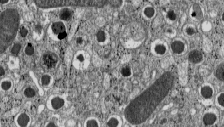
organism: C57BL Mouse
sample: Pancreatic islet